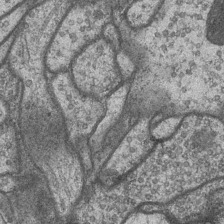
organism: Drosophila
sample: Optic medulla